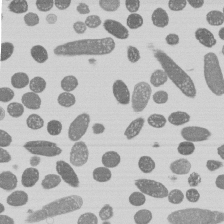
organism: E. coli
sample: Bacterial nucleoid